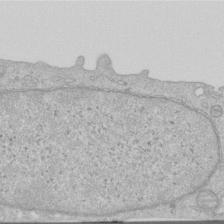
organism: Human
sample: Centriole in RPE cells